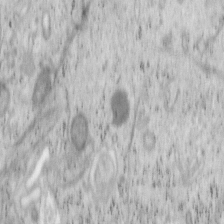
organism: Human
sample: HeLa cells